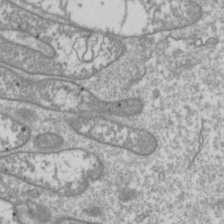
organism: Drosophila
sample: Cell division; meiosis; drosophila spermatocytes